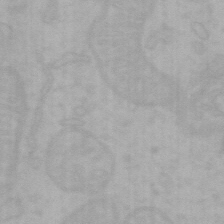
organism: Mouse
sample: Choroid plexus